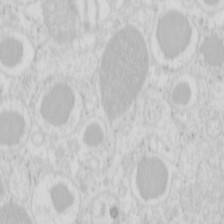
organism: Mouse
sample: Pancreas